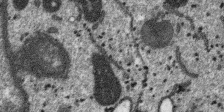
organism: Human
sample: Lung epithelial cells infected with SARS-CoV-2